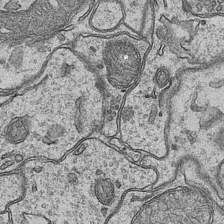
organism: Mouse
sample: CA1 Hippocampus